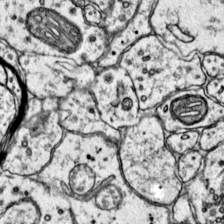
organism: Mouse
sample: Primary visual cortex